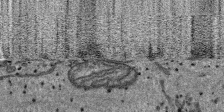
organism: Human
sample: Lung epithelial cells, uninfected (mock) control